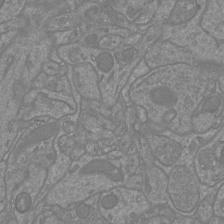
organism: Mouse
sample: Cortical neurons